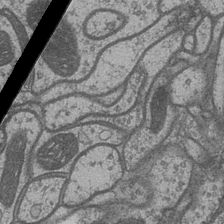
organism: Drosophila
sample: Optic medulla